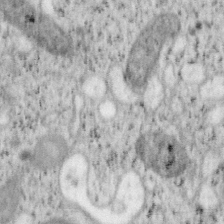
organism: Mouse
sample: OT-I killer T cells with ID8 ovarian cancer cells